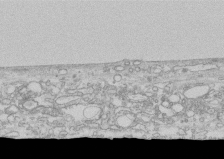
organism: Human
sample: CRL-1474